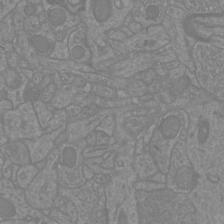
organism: Mouse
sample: Cortical neurons